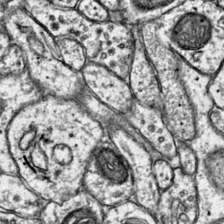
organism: Mouse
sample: Primary visual cortex